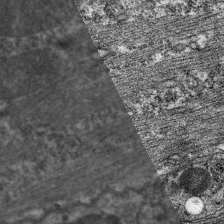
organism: C. elegans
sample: Pharynx